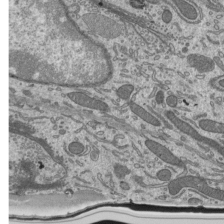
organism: Mouse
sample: Mouse epididymis efferent ductule cilia